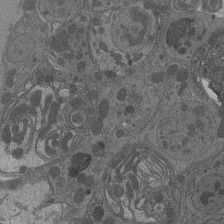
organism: Drosophila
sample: Antenna